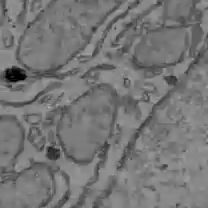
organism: C57BL Mouse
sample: Liver